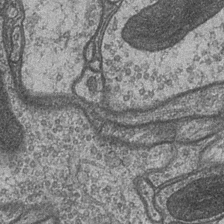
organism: Drosophila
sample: Optic medulla